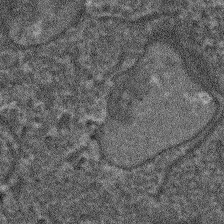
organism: Arabidopsis thaliana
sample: Root tip